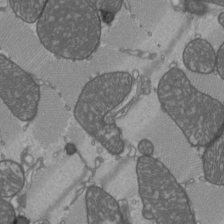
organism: C57BL Mouse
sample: Heart